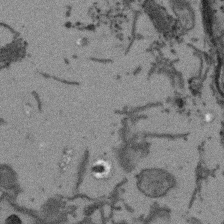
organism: Arabidopsis thaliana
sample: Root tip